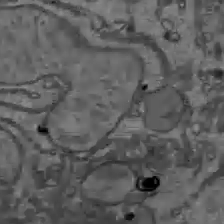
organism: C57BL Mouse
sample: Liver